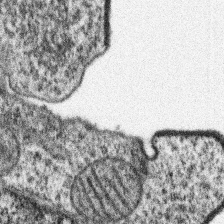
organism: Human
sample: HeLa cells